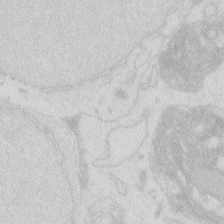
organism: Zebrafish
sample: Macrophage